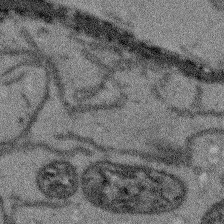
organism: Arabidopsis thaliana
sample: Root tip